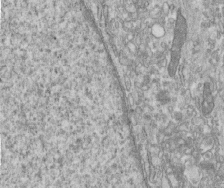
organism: Human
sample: Centriole in fibroblast cells